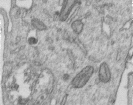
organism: Human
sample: Centriole in RPE cells